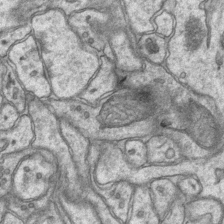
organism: Mouse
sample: CA1 Hippocampus